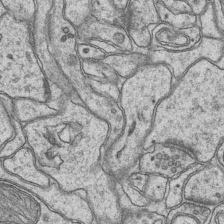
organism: Mouse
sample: CA1 Hippocampus